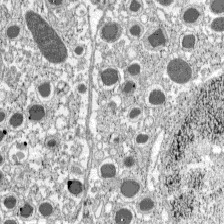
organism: C57BL Mouse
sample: Pancreatic islet